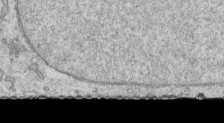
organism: Human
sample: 1205lu cells